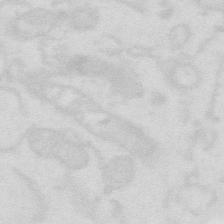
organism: Human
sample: HeLa cells